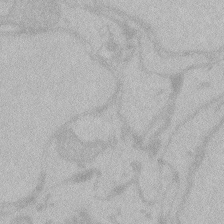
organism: Zebrafish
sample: Macrophage infected with Toxoplasma gondii